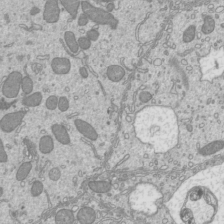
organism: Mouse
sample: Cilia; mouse epididymis